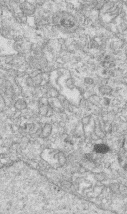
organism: Human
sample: HeLa cell HIV synapse